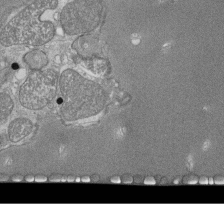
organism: Tetrahymena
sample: Cilia in tetrahymena